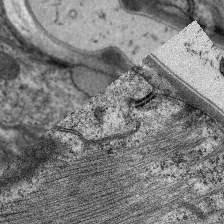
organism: C. elegans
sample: Pharynx